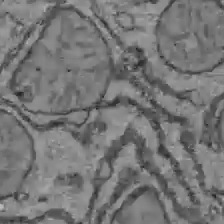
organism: C57BL Mouse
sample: Liver